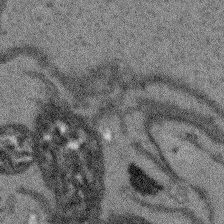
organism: Arabidopsis thaliana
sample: Root tip